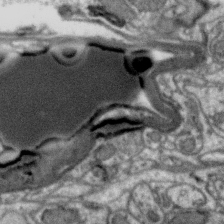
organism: Zebra finch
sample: Brain